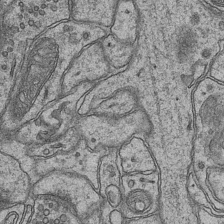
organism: Mouse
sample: CA1 Hippocampus